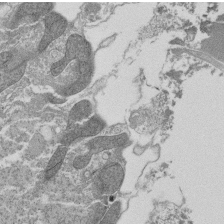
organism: Tetrahymena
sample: Cilia in tetrahymena